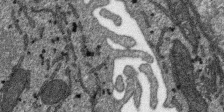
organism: Human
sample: Lung epithelial cells infected with SARS-CoV-2